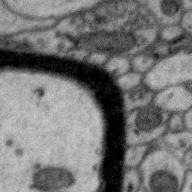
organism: Zebra finch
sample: Brain